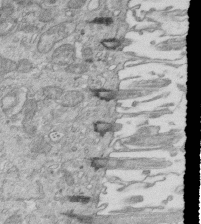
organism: Mouse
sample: Multiciliated cells